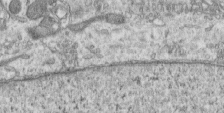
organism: Human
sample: Centriole in RPE cells